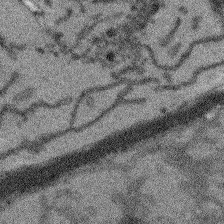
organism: Arabidopsis thaliana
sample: Root tip